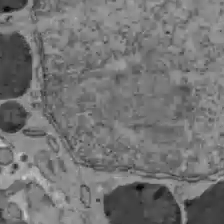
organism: C57BL Mouse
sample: Liver